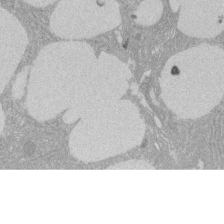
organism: Rat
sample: Salivary granule